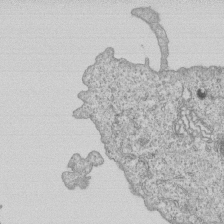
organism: Human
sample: MDA-MB-231 cells